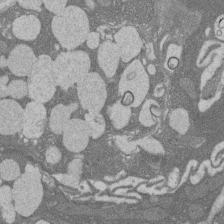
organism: Rat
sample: Salivary granule